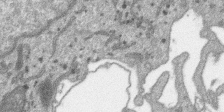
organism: Human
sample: Lung epithelial cells infected with SARS-CoV-2